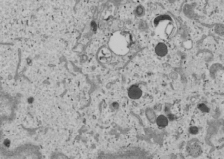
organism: Human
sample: Mitochondria in U2OS cells